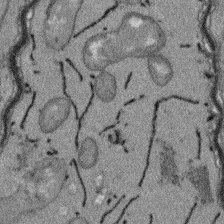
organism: Arabidopsis thaliana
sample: Root tip